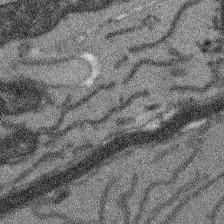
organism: Arabidopsis thaliana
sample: Root tip